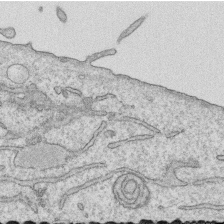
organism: Human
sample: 1205lu cells